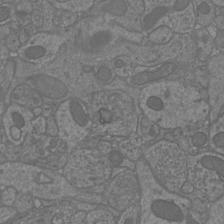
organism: Mouse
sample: Cortical neurons